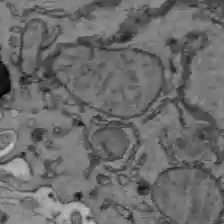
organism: C57BL Mouse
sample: Liver